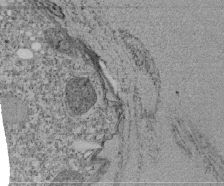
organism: Tetrahymena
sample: Cilia in tetrahymena